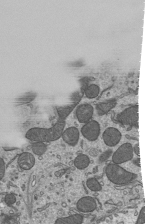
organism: Mouse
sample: Mouse epididymis efferent ductule cilia